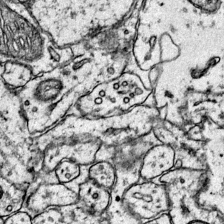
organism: Mouse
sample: Primary visual cortex